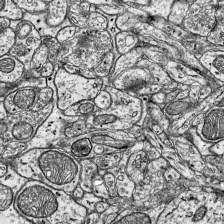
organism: Mouse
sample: Visual Cortex